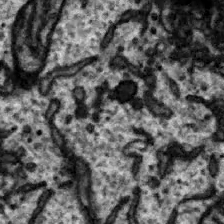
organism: Human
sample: HeLa cells